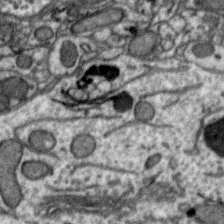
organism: Zebra finch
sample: Brain